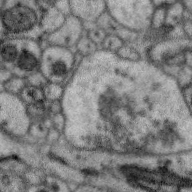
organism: Zebra finch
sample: Brain